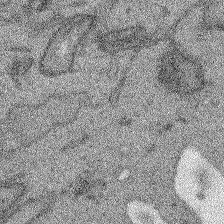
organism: Human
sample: HeLa cells